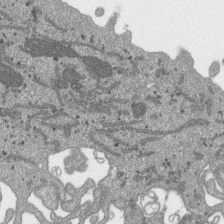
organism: Human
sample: Lung epithelial cells infected with SARS-CoV-2